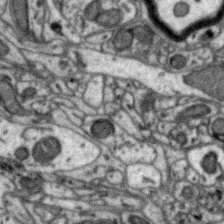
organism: Zebra finch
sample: Brain